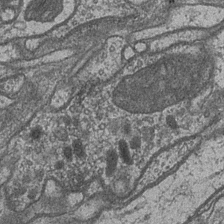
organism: Drosophila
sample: Optic medulla